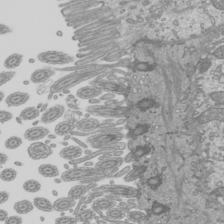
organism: Mouse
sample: Cilia; mouse epididymis